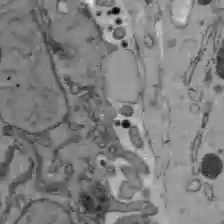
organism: C57BL Mouse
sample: Liver